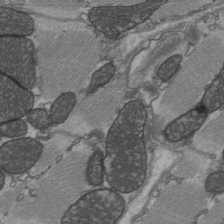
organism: C57BL Mouse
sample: Heart